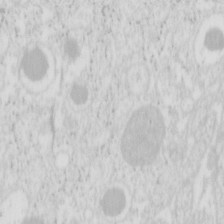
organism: Mouse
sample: Pancreas